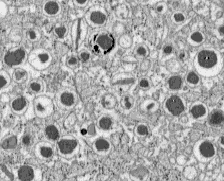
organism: C57BL Mouse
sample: Pancreatic islet